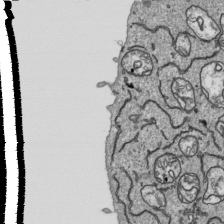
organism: Human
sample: Mitochondria in HCT116 cells